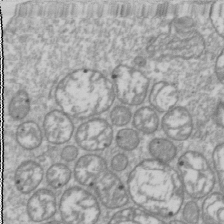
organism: Drosophila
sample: Cell division; meiosis; drosophila spermatocytes